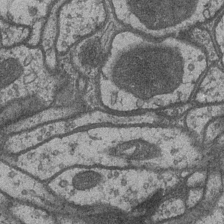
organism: Drosophila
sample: Optic medulla